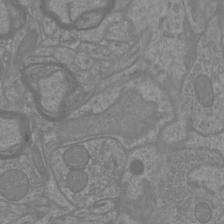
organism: Mouse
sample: Cortical neurons